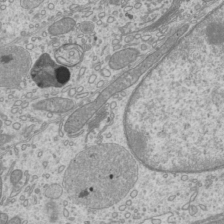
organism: Mouse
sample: Cilia; mouse epididymis